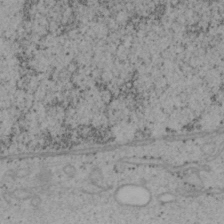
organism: Human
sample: HeLa cells